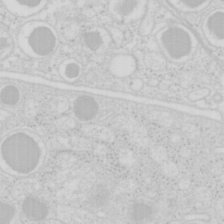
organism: Mouse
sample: Pancreas